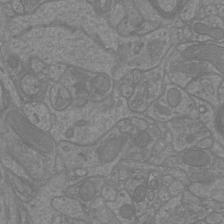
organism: Mouse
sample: Cortical neurons